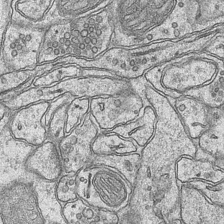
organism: Mouse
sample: CA1 Hippocampus